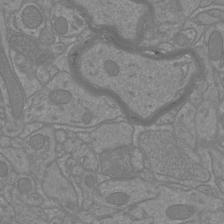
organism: Mouse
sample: Cortical neurons